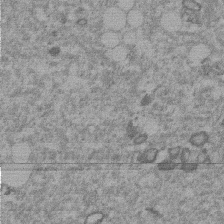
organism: Mouse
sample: Dividing mouse embryo 1 cell stage